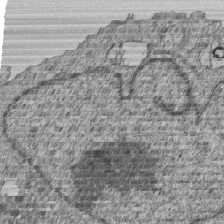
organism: Human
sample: MDA-MB-231 cells